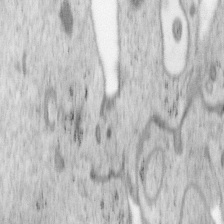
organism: Human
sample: HeLa cells